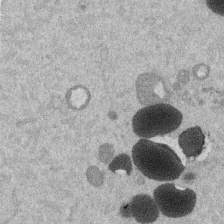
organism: Mouse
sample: Dividing mouse embryo 1 cell stage